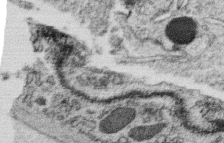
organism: C. elegans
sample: C. elegans oocyte; sperm cells